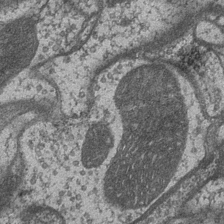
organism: Drosophila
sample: Optic medulla